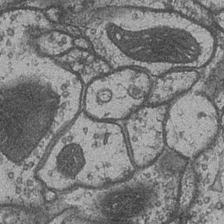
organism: Drosophila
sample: Optic medulla